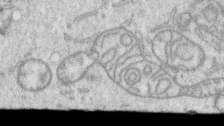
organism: Human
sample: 1205lu cells